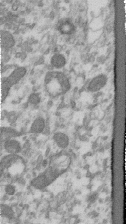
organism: Human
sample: Centriole in RPE cells